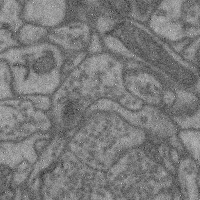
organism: Mouse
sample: Cerebral cortex